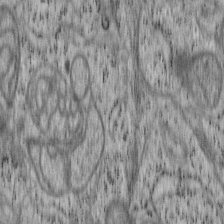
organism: Human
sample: HeLa cells